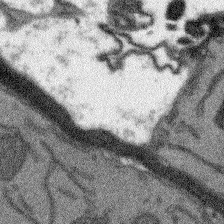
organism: Arabidopsis thaliana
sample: Root tip